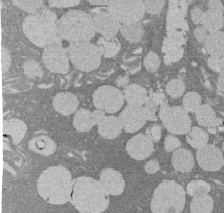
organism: Rat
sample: Salivary granule